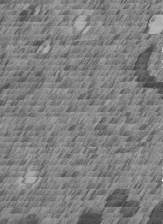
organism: C. elegans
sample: C. elegans embryo early stage